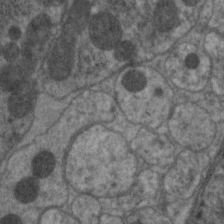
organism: C. elegans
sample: Pharynx